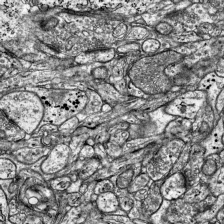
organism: Mouse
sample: Visual Cortex